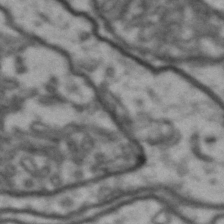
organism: Drosophila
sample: Brain